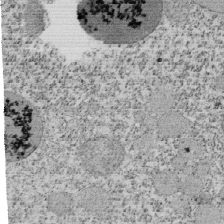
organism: Tetrahymena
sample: Cilia in tetrahymena